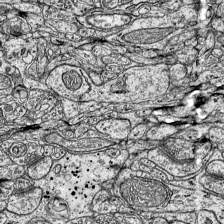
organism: Mouse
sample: Visual Cortex